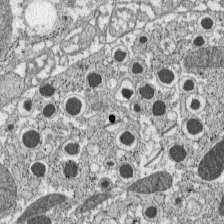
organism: C57BL Mouse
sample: Pancreatic islet